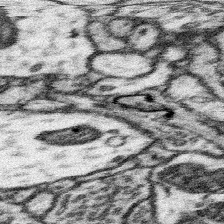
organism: Mouse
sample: Somatosensory cortex neuropil